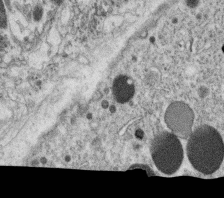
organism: C. elegans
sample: C. elegans oocyte; sperm cells